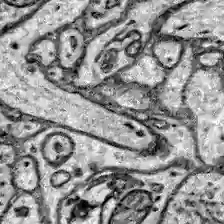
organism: Zebrafish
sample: Brain